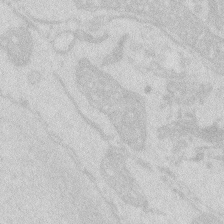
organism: Zebrafish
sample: Macrophage